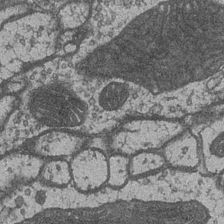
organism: Drosophila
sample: Optic medulla